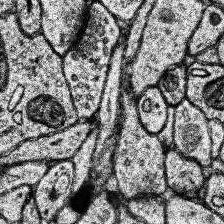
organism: Human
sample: Temporal Lobe